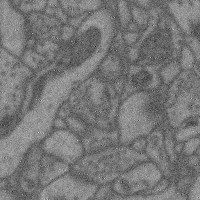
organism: Mouse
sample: Cerebral cortex